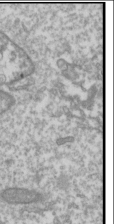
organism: Drosophila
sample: Cell division; meiosis; drosophila spermatocytes